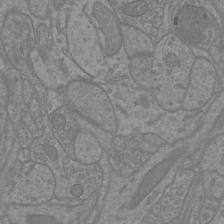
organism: Mouse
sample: Cortical neurons